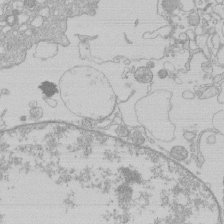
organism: Human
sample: Macrophage cells